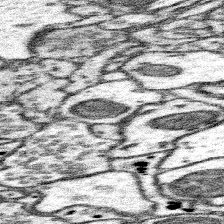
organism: Mouse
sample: Somatosensory cortex neuropil